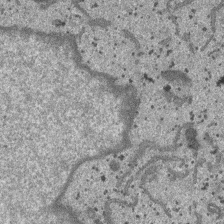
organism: Human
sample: Lung epithelial cells infected with SARS-CoV-2